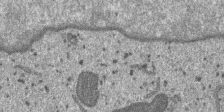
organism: Human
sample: Lung epithelial cells infected with SARS-CoV-2